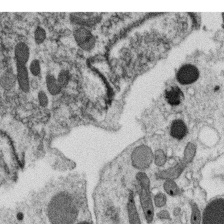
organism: C. elegans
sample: C. elegans oocyte; sperm cells